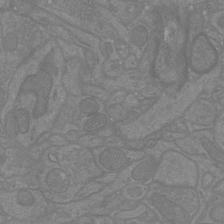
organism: Mouse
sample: Cortical neurons